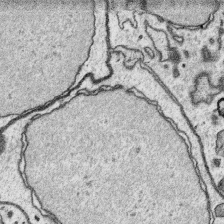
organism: Platynereis dumerilii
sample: Parapodia